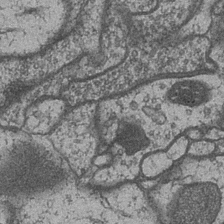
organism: Drosophila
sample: Optic medulla